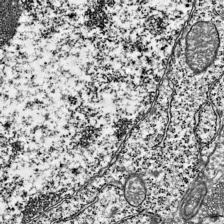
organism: Mouse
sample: Visual Cortex